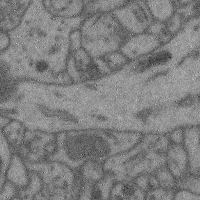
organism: Mouse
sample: Cerebral cortex